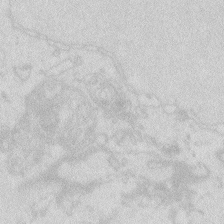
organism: Zebrafish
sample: Macrophage